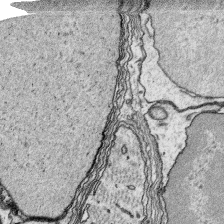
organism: Platynereis dumerilii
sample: Parapodia